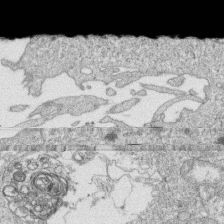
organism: Human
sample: HeLa cell HIV synapse